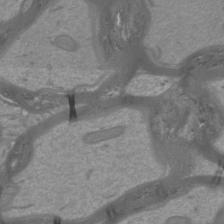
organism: Mouse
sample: Cortical neurons